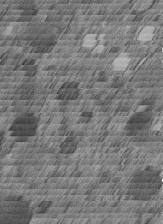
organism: C. elegans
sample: C. elegans embryo early stage